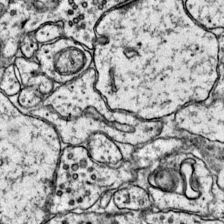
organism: Mouse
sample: Primary visual cortex